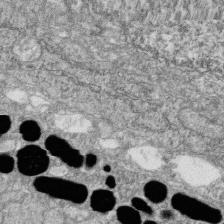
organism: Zebrafish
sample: Cilia; retinal pigment epithelium